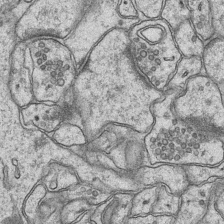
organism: Mouse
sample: CA1 Hippocampus